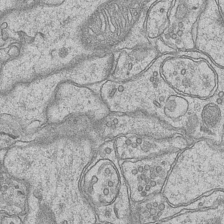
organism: Mouse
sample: CA1 Hippocampus